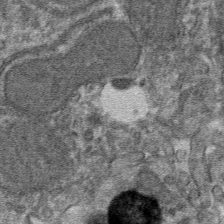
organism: Mouse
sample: Mouse hepatocytes